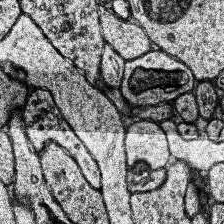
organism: Human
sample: Temporal Lobe